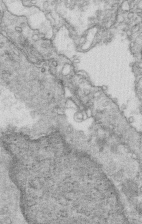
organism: Mouse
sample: Multiciliated cells